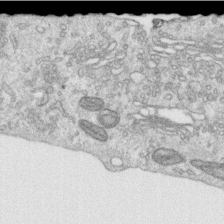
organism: Human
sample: Centriole in RPE cells